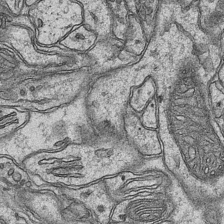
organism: Mouse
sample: CA1 Hippocampus